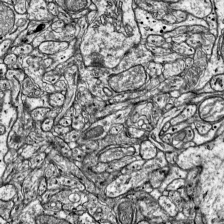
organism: Mouse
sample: Visual Cortex